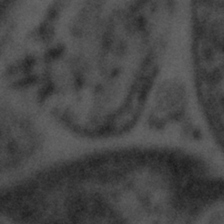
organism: Tuwongella immobilis